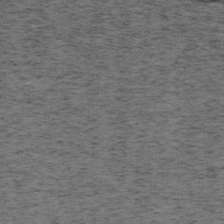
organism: Mouse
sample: OT-I killer T cells with ID8 ovarian cancer cells